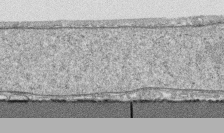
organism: Human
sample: CRL-1474